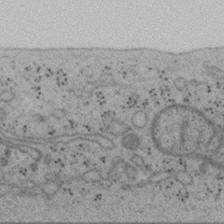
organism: Human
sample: HeLa cells